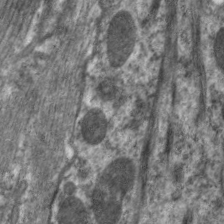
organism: C. elegans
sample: Pharynx